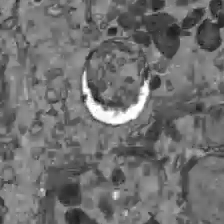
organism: C57BL Mouse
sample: Liver